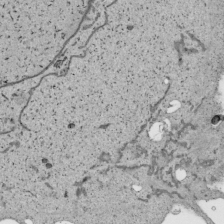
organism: Human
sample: Mitochondria in HCT116 cells